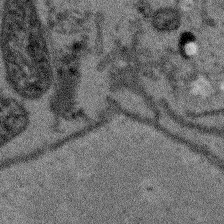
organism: Arabidopsis thaliana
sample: Root tip